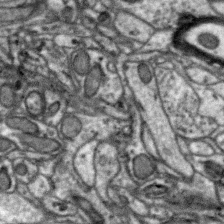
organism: Zebra finch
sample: Brain